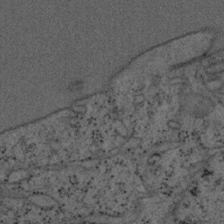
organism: Human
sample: HeLa cells